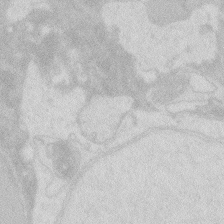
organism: Zebrafish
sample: Macrophage